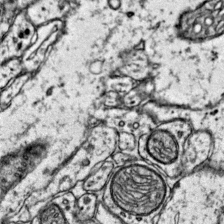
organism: Mouse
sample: Primary visual cortex